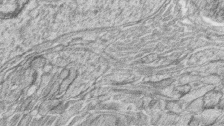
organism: Zebrafish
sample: synaptic ribbons in rod cells and cone cells